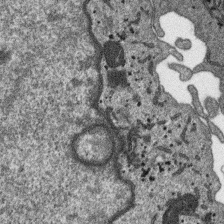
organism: Human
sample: Lung epithelial cells infected with SARS-CoV-2